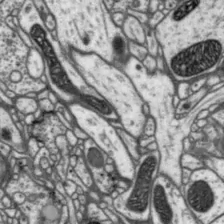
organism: Drosophila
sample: Protocerebral bridge